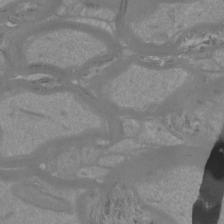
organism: Mouse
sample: Cortical neurons